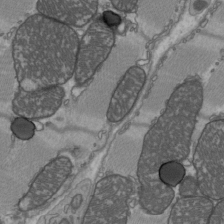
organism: C57BL Mouse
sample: Heart